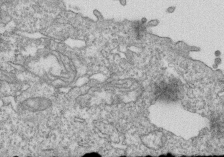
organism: Human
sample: HeLa cell HIV synapse